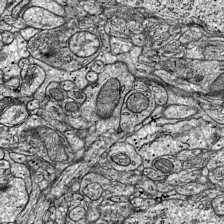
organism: Mouse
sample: Visual Cortex